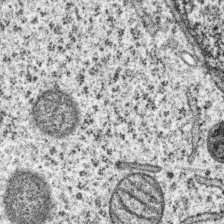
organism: Human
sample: HeLa cells